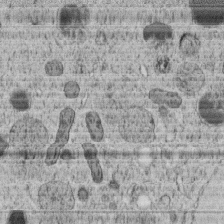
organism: C. elegans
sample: C. elegans embryo early stage